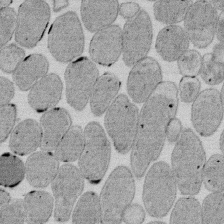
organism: E. coli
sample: Bacterial nucleoid